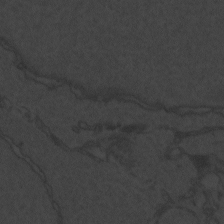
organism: Zebrafish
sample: Macrophage infected with Toxoplasma gondii